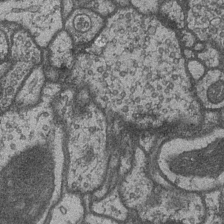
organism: Drosophila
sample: Optic medulla